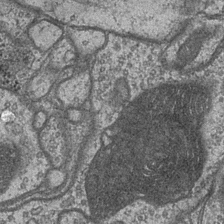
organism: Drosophila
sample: Optic medulla